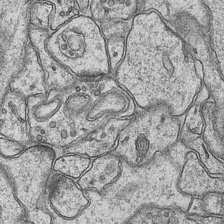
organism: Mouse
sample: CA1 Hippocampus